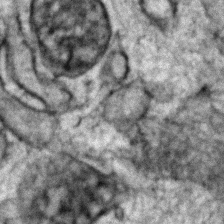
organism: Zebrafish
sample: Zebrafish embryo